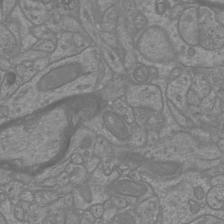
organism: Mouse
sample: Cortical neurons